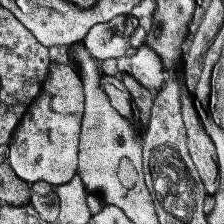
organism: Human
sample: Temporal Lobe